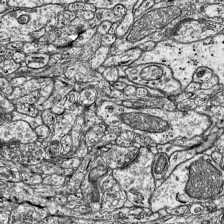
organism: Mouse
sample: Visual Cortex